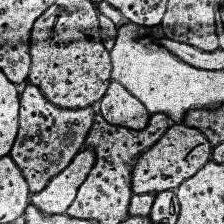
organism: Human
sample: Temporal Lobe